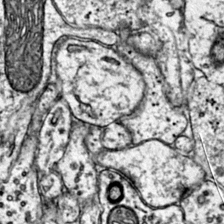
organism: Mouse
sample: Primary visual cortex